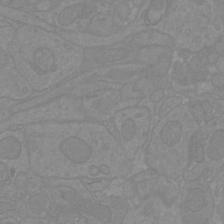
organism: Mouse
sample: Cortical neurons